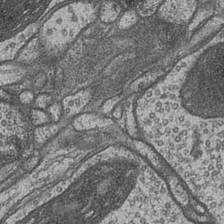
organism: Drosophila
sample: Optic medulla